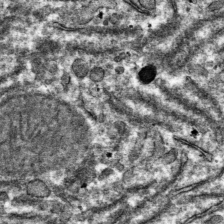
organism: Mouse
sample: Mouse hepatocytes